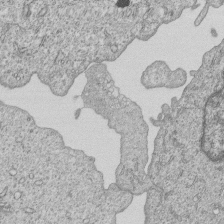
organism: Human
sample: MDA-MB-231 cells